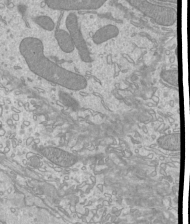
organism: Mouse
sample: Cilia; mouse epididymis